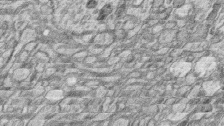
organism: Zebrafish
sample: synaptic ribbons in rod cells and cone cells